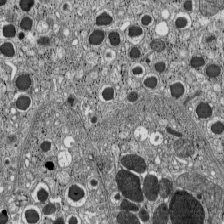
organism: C57BL Mouse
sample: Pancreatic islet